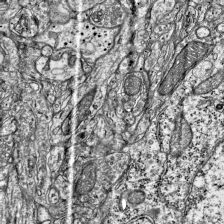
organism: Mouse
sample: Visual Cortex